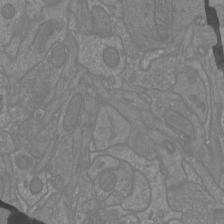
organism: Mouse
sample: Cortical neurons